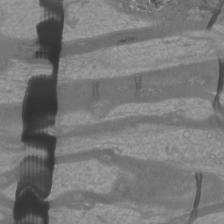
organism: Mouse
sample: Cortical neurons